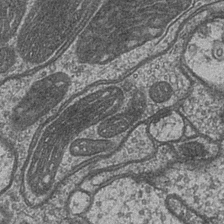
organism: Drosophila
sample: Optic medulla